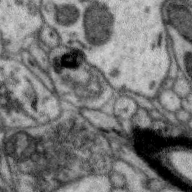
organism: Zebra finch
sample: Brain